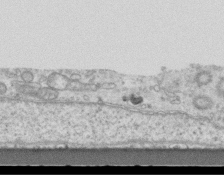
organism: Mouse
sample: Centriole in ependymal cells